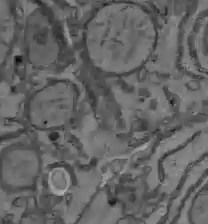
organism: C57BL Mouse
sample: Liver